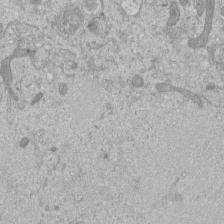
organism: Mouse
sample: ED-1 cell nuclei; centrioles